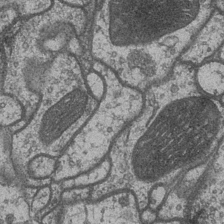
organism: Drosophila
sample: Optic medulla